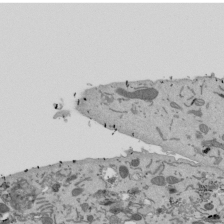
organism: Mouse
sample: ED-1 cell nuclei; centrioles